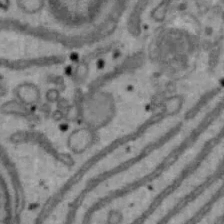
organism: Mouse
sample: Liver